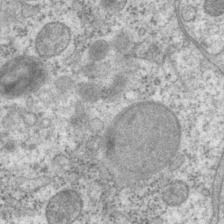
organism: P. pacificus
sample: Pharynx